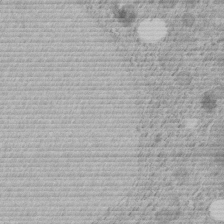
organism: C. elegans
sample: C. elegans embryo early stage